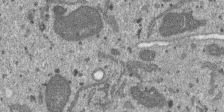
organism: Human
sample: Lung epithelial cells infected with SARS-CoV-2